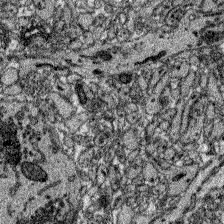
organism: Zebrafish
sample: Larval olfactory bulb